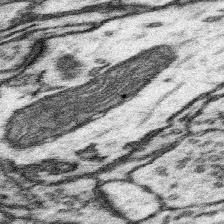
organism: Mouse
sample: Somatosensory cortex neuropil